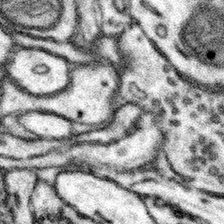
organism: Mouse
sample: Somatosensory cortex neuropil